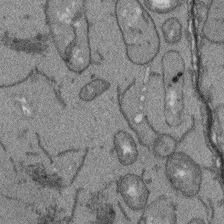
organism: Arabidopsis thaliana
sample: Root tip